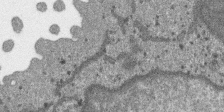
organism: Human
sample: Lung epithelial cells infected with SARS-CoV-2